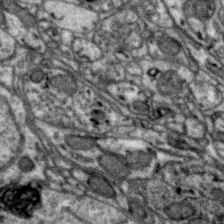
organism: Zebra finch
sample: Brain